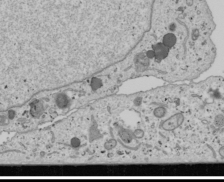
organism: Human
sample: Mitochondria in U2OS cells